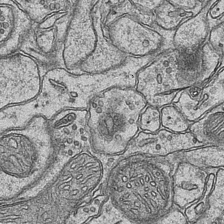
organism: Mouse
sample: CA1 Hippocampus